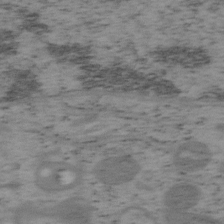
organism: Mouse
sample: OT-I killer T cells with ID8 ovarian cancer cells